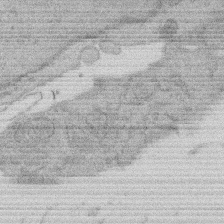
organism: Rat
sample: Salivary granule